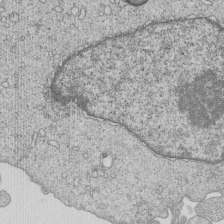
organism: Human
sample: MDA-MB-231 cells